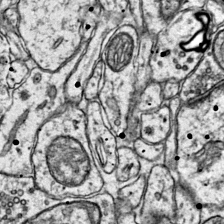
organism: Mouse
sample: Primary visual cortex